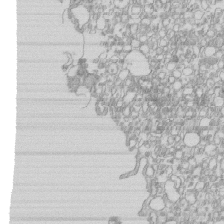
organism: Mouse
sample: Macrophages